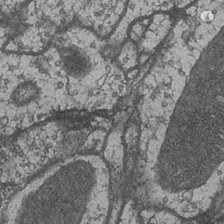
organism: Drosophila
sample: Optic medulla